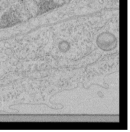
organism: Human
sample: Mitochondria in HCT116 cells